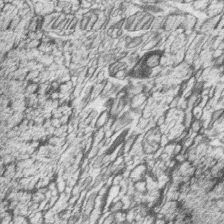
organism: Zebrafish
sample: synaptic ribbons in rod cells and cone cells